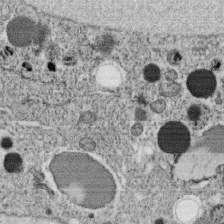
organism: C. elegans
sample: C. elegans oocyte; sperm cells